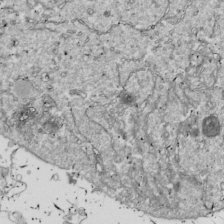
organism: Drosophila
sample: Cell division; meiosis; drosophila spermatocytes